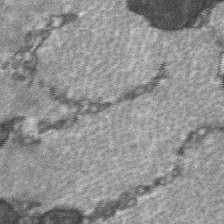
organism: C57BL Mouse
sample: Soleus